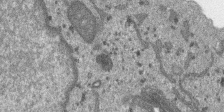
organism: Human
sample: Lung epithelial cells infected with SARS-CoV-2